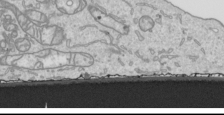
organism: Human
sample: Mitochondria in HCT116 cells